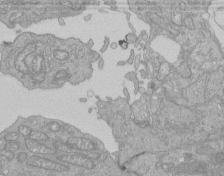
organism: Human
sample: Retinal organoid Rod and Cone cells